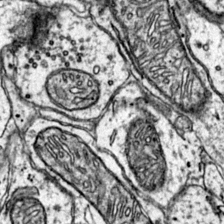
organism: Mouse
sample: Primary visual cortex